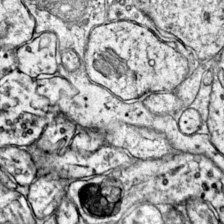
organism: Mouse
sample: Primary visual cortex